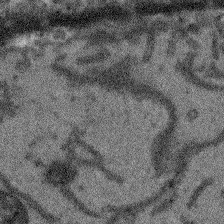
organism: Arabidopsis thaliana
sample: Root tip